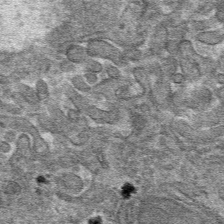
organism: Mouse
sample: Mouse hepatocytes